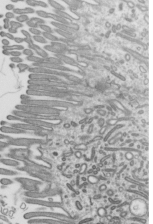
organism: Mouse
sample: Mouse epididymis efferent ductule cilia